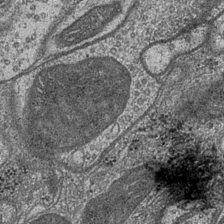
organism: Drosophila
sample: Optic medulla